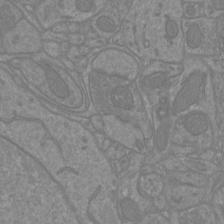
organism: Mouse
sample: Cortical neurons